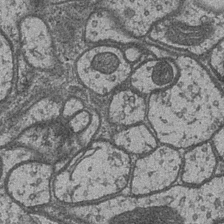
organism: Drosophila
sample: Optic medulla